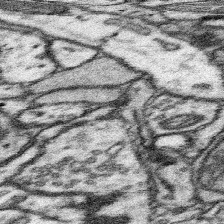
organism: Mouse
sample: Somatosensory cortex neuropil